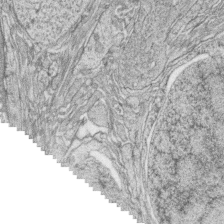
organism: Zebrafish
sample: synaptic ribbons in rod cells and cone cells